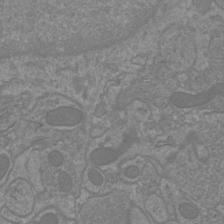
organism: Mouse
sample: Cortical neurons